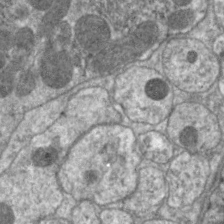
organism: C. elegans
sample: Pharynx